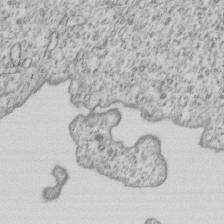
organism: Human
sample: MDA-MB-231 cells